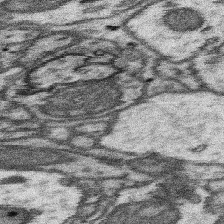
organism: Mouse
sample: Somatosensory cortex neuropil